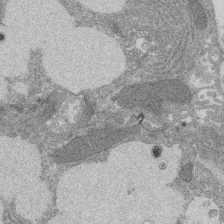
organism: Rat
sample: Salivary granule